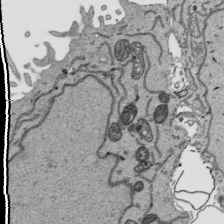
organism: Human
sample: Mitochondria in HCT116 cells